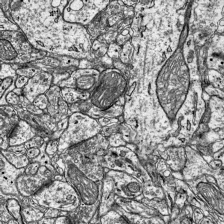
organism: Mouse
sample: Visual Cortex